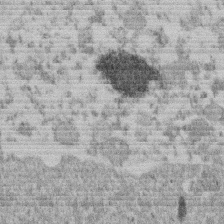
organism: Mouse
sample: Dividing mouse embryo 1 cell stage